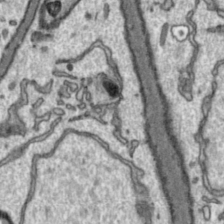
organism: Toxoplasma gondii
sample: Parasites in a vacuole inside a host cell